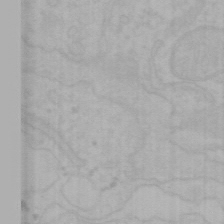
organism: Mouse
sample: Choroid plexus